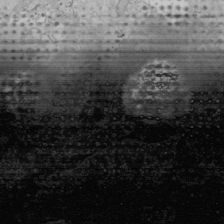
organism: Human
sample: Mitochondria in U2OS cells